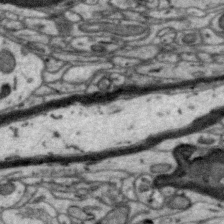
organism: Zebra finch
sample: Brain